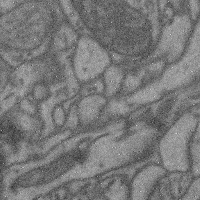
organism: Mouse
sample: Cerebral cortex